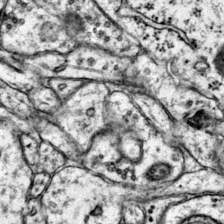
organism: Mouse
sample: Primary visual cortex